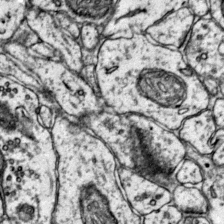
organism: Mouse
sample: Primary visual cortex